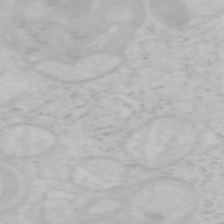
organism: Mouse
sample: OT-I killer T cells with ID8 ovarian cancer cells